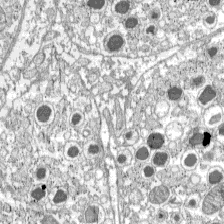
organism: C57BL Mouse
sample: Pancreatic islet